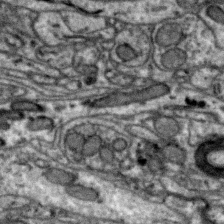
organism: Zebra finch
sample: Brain